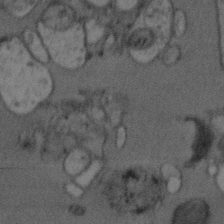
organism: Human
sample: HeLa cells